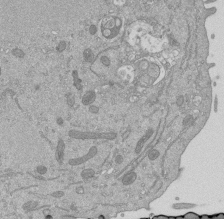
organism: Mouse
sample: ED-1 cell nuclei; centrioles